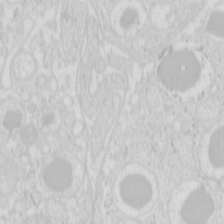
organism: Mouse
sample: Pancreas